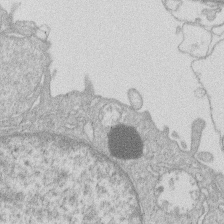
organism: Human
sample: Macrophage cells